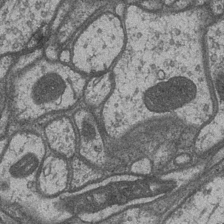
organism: Drosophila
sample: Optic medulla